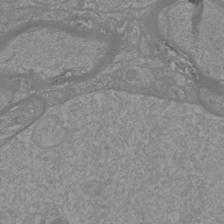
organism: Mouse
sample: Cortical neurons